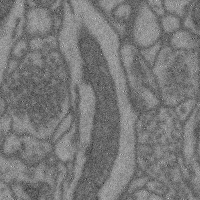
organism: Mouse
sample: Cerebral cortex